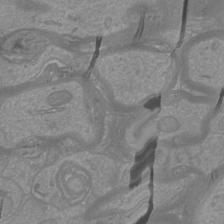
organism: Mouse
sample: Cortical neurons